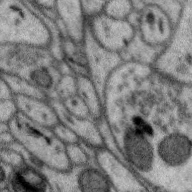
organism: Zebra finch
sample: Brain